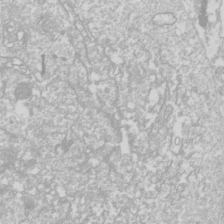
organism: Drosophila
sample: Cell division; meiosis; drosophila spermatocytes